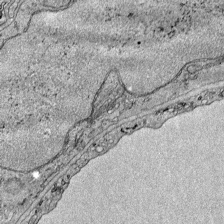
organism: Mouse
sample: Visual Cortex